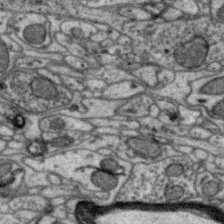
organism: Zebra finch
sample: Brain